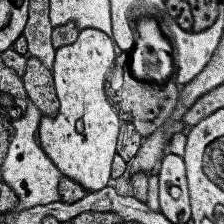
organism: Human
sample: Temporal Lobe